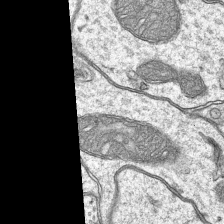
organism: Mouse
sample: CA1 Hippocampus